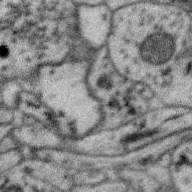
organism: Zebra finch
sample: Brain